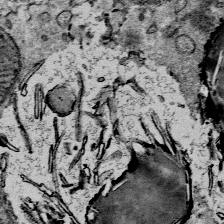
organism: Mouse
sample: Mouse Salivary gland